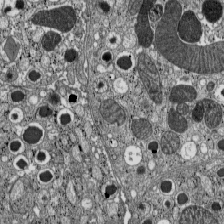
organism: C57BL Mouse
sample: Pancreatic islet